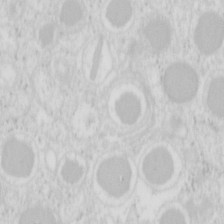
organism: Mouse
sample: Pancreas